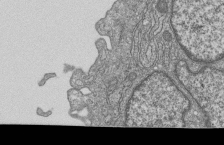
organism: Human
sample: MDA-MB-231 cells